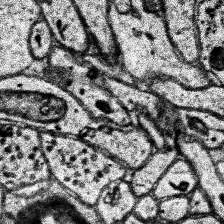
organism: Human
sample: Temporal Lobe